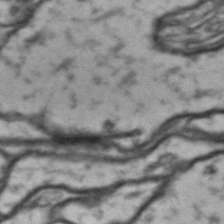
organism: Drosophila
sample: Brain